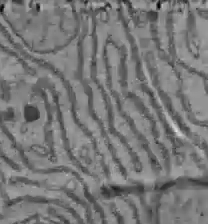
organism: C57BL Mouse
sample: Liver